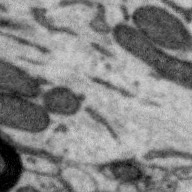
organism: Zebra finch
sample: Brain